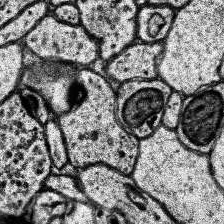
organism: Human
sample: Temporal Lobe